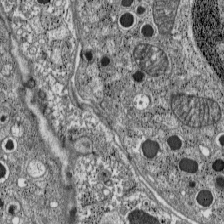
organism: C57BL Mouse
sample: Pancreatic islet